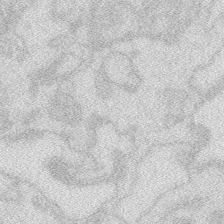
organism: Zebrafish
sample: Macrophage